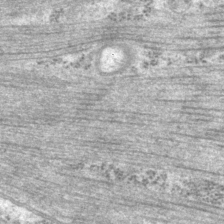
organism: P. pacificus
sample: Pharynx